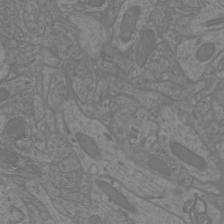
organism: Mouse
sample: Cortical neurons